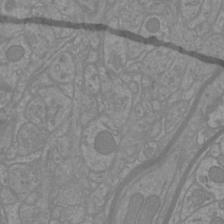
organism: Mouse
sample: Cortical neurons